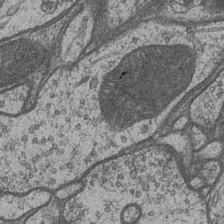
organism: Drosophila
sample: Optic medulla